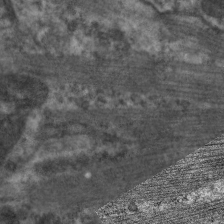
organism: C. elegans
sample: Pharynx